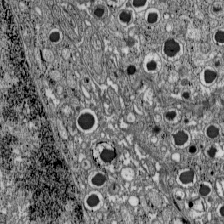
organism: C57BL Mouse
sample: Pancreatic islet